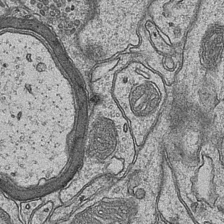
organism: Mouse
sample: CA1 Hippocampus